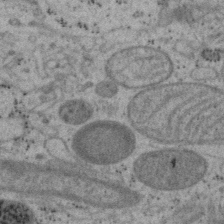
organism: Human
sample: HeLa cells